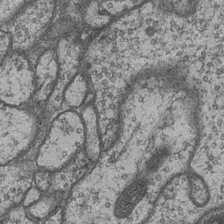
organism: Drosophila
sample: Optic medulla